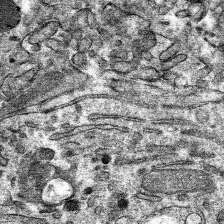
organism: Mouse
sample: Mouse hepatocytes